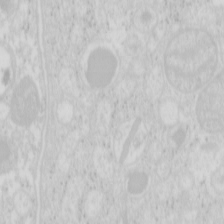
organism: Mouse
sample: Pancreas